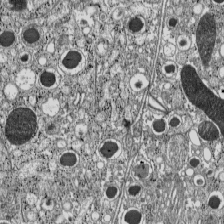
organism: C57BL Mouse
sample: Pancreatic islet